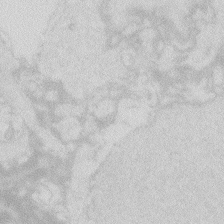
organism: Zebrafish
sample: Macrophage